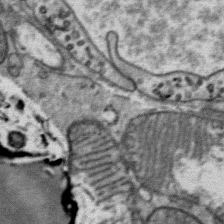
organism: Mouse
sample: Mouse Salivary gland